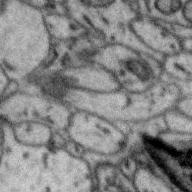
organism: Zebra finch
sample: Brain